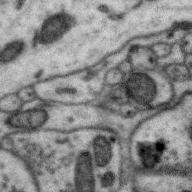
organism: Zebra finch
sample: Brain